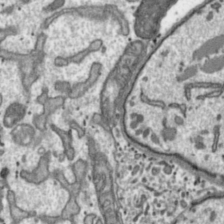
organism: Toxoplasma gondii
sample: Parasites in a vacuole inside a host cell